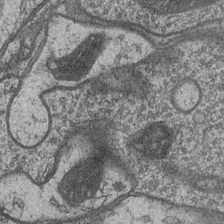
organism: Drosophila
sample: Optic medulla